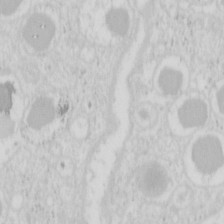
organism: Mouse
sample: Pancreas